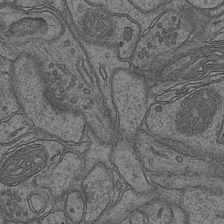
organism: Mouse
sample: CA1 Hippocampus